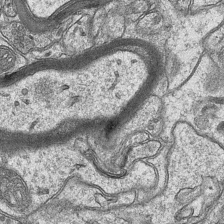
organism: Mouse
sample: CA1 Hippocampus